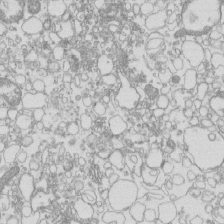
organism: Mouse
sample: Macrophages